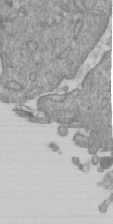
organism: Mouse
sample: ED-1 cell nuclei; centrioles